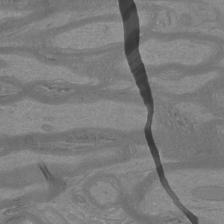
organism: Mouse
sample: Cortical neurons